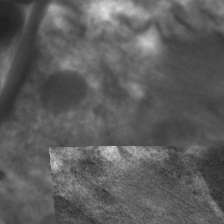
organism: C. elegans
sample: Pharynx